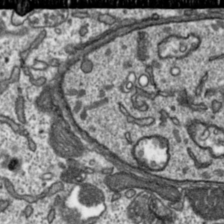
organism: Toxoplasma gondii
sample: Parasites in a vacuole inside a host cell